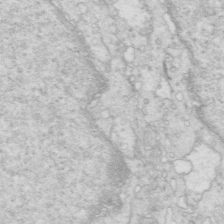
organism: Mouse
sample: Multiciliated cells